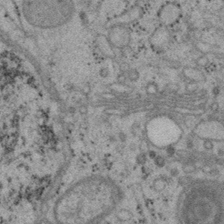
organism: Human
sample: HeLa cells